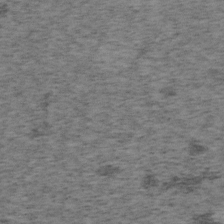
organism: Mouse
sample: OT-I killer T cells with ID8 ovarian cancer cells